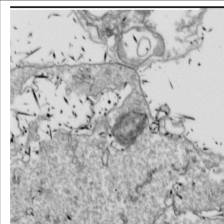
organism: Drosophila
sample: Cell division; meiosis; drosophila spermatocytes